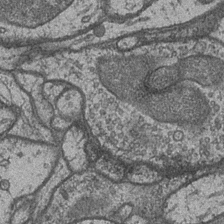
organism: Drosophila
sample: Optic medulla